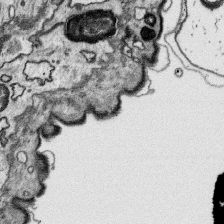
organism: Platynereis dumerilii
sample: Parapodia